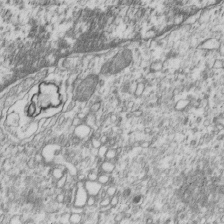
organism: Human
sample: MDA-MB-231 cells